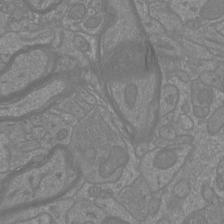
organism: Mouse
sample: Cortical neurons